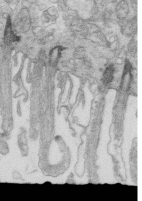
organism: Mouse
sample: Multiciliated cells